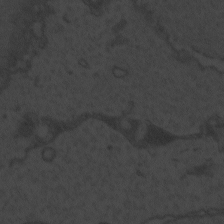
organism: Zebrafish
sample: Macrophage infected with Toxoplasma gondii